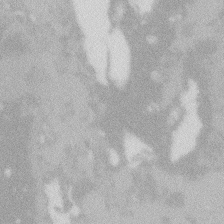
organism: Zebrafish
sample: Macrophage